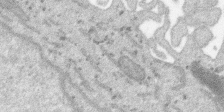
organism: Human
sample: Lung epithelial cells infected with SARS-CoV-2